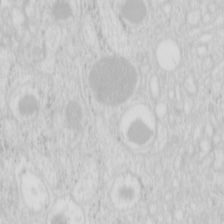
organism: Mouse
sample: Pancreas